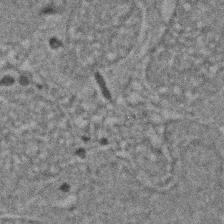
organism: Zebrafish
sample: Zebrafish embryo